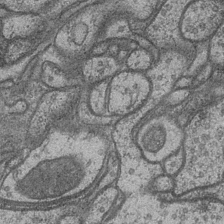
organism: Drosophila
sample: Optic medulla